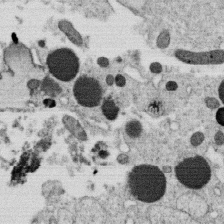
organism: C. elegans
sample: C. elegans oocyte; sperm cells